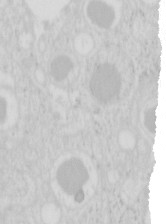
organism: Mouse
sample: Pancreas